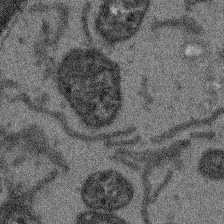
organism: Arabidopsis thaliana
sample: Root tip